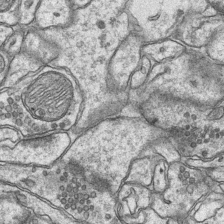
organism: Mouse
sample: CA1 Hippocampus